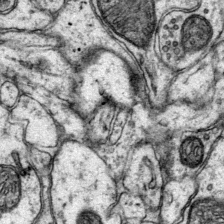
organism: Mouse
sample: Primary visual cortex